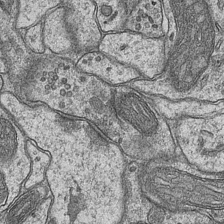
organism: Mouse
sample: CA1 Hippocampus